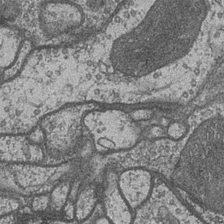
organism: Drosophila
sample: Optic medulla